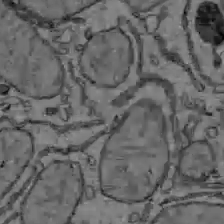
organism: C57BL Mouse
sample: Liver